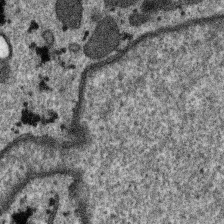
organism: Human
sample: Lung epithelial cells infected with SARS-CoV-2